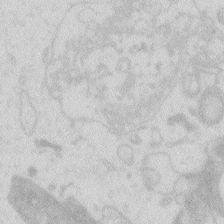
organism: Zebrafish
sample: Macrophage